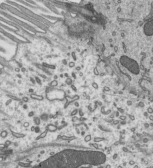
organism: Mouse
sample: Mouse epididymis efferent ductule cilia